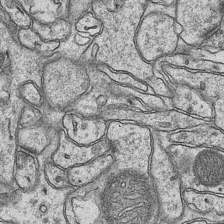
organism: Mouse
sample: CA1 Hippocampus